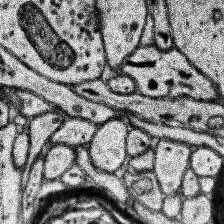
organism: Human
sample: Temporal Lobe